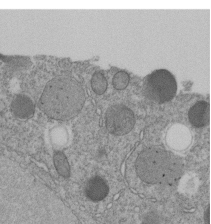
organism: C. elegans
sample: C. elegans embryo early stage